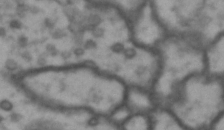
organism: Drosophila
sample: Brain